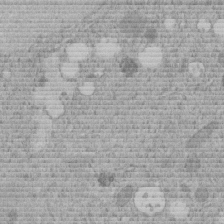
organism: C. elegans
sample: C. elegans embryo early stage